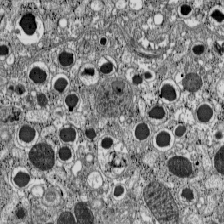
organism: C57BL Mouse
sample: Pancreatic islet